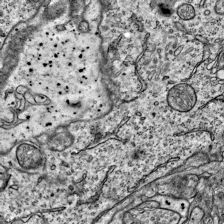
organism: Mouse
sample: Visual Cortex